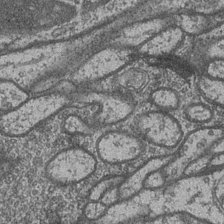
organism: Drosophila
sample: Optic medulla